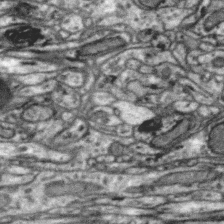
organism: Zebra finch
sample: Brain